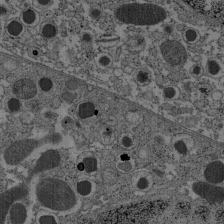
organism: C57BL Mouse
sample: Pancreatic islet